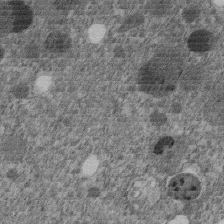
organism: C. elegans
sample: C. elegans embryo early stage